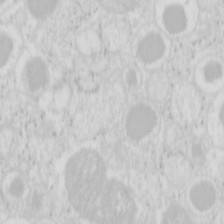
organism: Mouse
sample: Pancreas